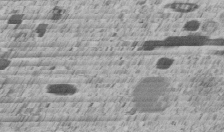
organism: C. elegans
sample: C. elegans embryo early stage